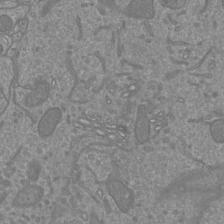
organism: Mouse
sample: Cortical neurons